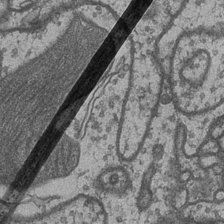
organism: Drosophila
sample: Optic medulla